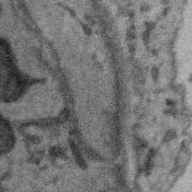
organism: Zebra finch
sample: Brain